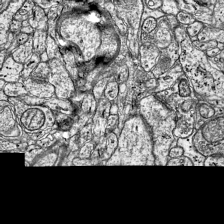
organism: Mouse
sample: Visual Cortex